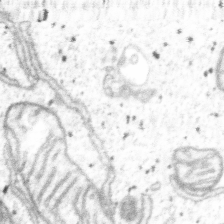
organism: Human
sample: HeLa cells